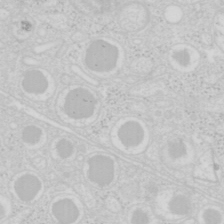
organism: Mouse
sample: Pancreas